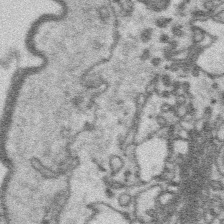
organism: Platynereis dumerilii